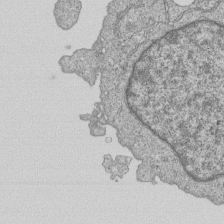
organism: Human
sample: MDA-MB-231 cells